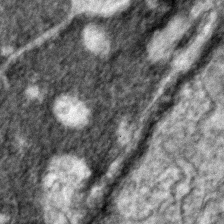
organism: Zebrafish